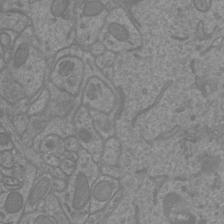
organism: Mouse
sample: Cortical neurons